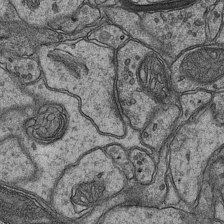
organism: Mouse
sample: CA1 Hippocampus